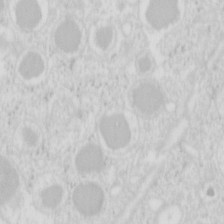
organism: Mouse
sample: Pancreas